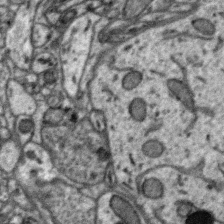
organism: Zebra finch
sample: Brain